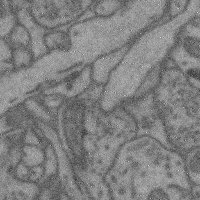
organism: Mouse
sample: Cerebral cortex